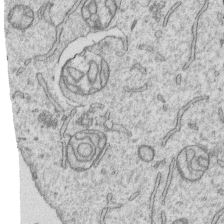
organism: Human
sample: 1205lu cells